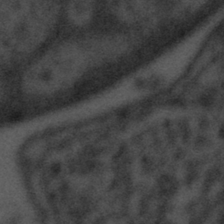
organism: Tuwongella immobilis